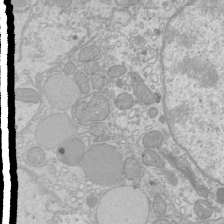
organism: Mouse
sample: Cilia; mouse epididymis